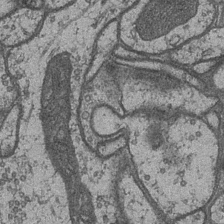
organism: Drosophila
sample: Optic medulla